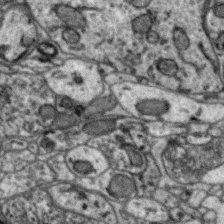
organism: Zebra finch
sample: Brain